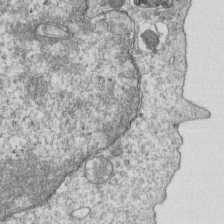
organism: Mouse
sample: Activated OT-1 CD8+ T cells